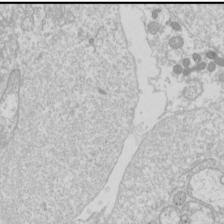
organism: Drosophila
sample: Cell division; meiosis; drosophila spermatocytes